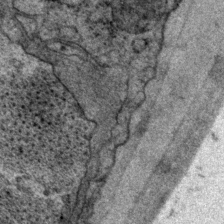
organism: P. pacificus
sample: Pharynx